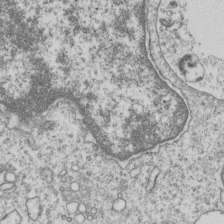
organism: Human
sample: MDA-MB-231 cells